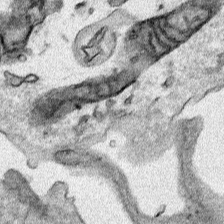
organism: Human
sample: Mitochondria in HCT116 cells